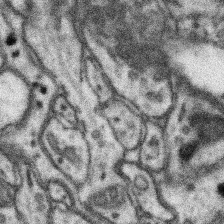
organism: Mouse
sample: Somatosensory cortex neuropil